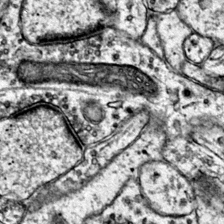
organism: Mouse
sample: Primary visual cortex